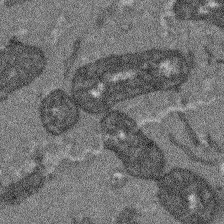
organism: Arabidopsis thaliana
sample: Root tip